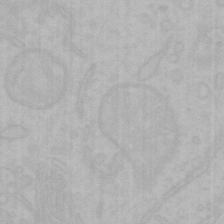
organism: Mouse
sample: Choroid plexus